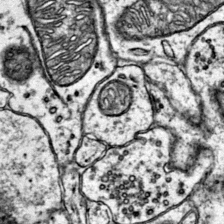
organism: Mouse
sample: Primary visual cortex